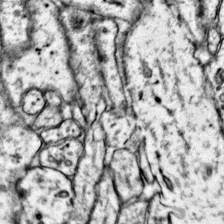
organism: Mouse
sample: Primary visual cortex